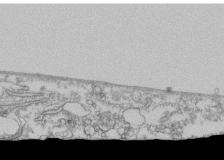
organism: Human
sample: Fibroblast cells